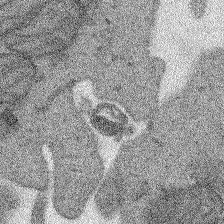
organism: Human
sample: HeLa cells